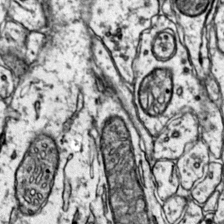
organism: Mouse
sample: Primary visual cortex